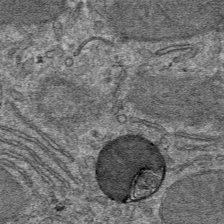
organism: Mouse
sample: Mouse hepatocytes